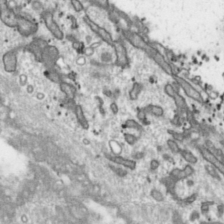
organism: Toxoplasma gondii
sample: Parasites in a vacuole inside a host cell